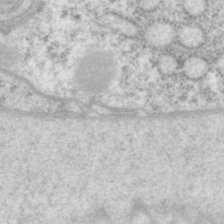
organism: P. pacificus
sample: Pharynx